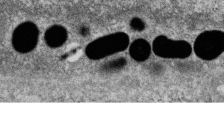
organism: Zebrafish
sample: Cilia; retinal pigment epithelium